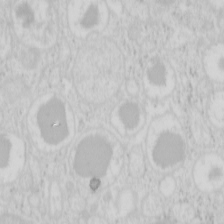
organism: Mouse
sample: Pancreas